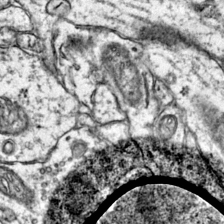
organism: Mouse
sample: Primary visual cortex